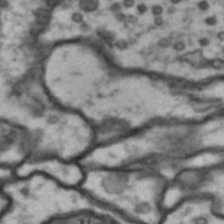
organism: Drosophila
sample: Brain